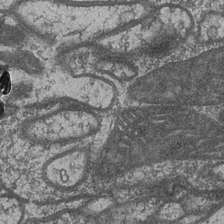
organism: Drosophila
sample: Optic medulla